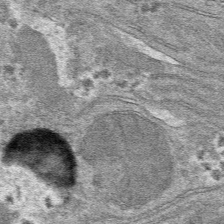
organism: Mouse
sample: Mouse hepatocytes